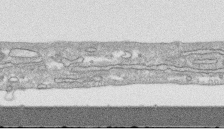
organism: Human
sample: CRL-1474